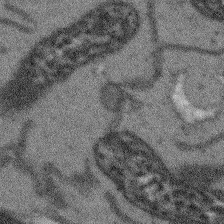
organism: Arabidopsis thaliana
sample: Root tip